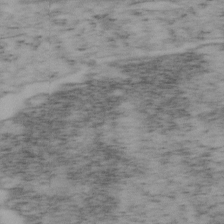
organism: Mouse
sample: OT-I killer T cells with ID8 ovarian cancer cells